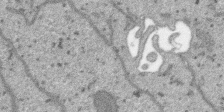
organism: Human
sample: Lung epithelial cells infected with SARS-CoV-2